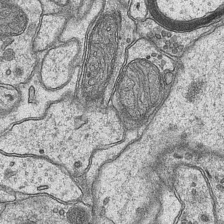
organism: Mouse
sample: CA1 Hippocampus